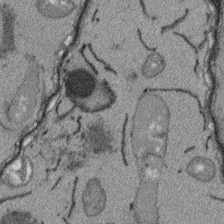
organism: Arabidopsis thaliana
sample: Root tip